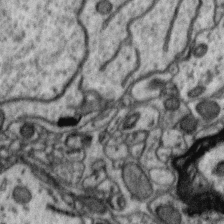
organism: Zebra finch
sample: Brain